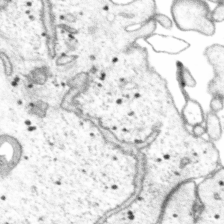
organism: Human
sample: HeLa cells